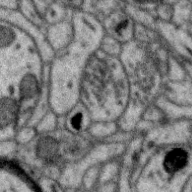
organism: Zebra finch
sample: Brain